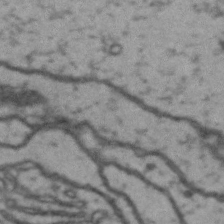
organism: Drosophila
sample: Brain